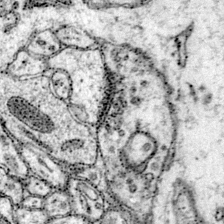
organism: Mouse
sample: Primary visual cortex